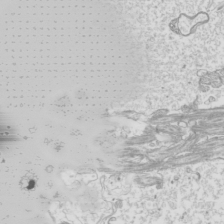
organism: Mouse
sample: Cilia; mouse epididymis